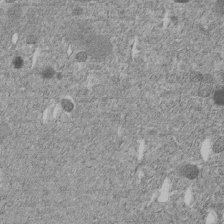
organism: C. elegans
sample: C. elegans embryo early stage